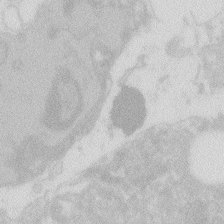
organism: Zebrafish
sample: Macrophage